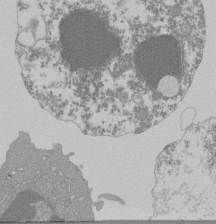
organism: Mouse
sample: Activated Pmel transgenic CD8+ T Cells